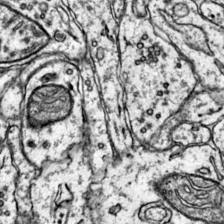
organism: Mouse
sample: Primary visual cortex